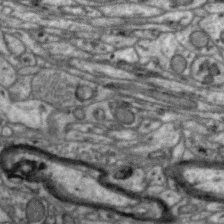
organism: Zebra finch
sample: Brain